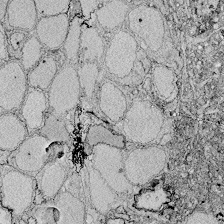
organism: Zebrafish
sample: Whole-Brain